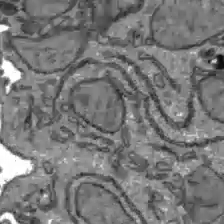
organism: C57BL Mouse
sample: Liver